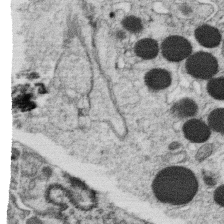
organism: C. elegans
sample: C. elegans oocyte; sperm cells